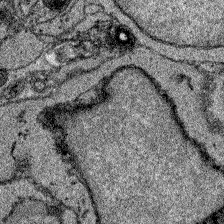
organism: Zebrafish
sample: Larval olfactory bulb